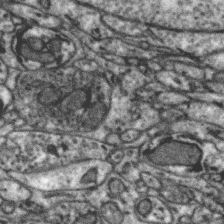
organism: Zebra finch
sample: Brain